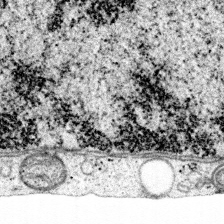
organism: Human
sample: HeLa cells